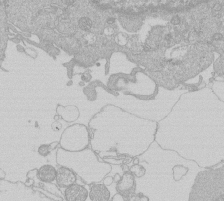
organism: Human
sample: Macrophage cells